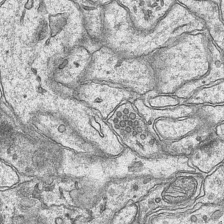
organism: Mouse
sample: CA1 Hippocampus